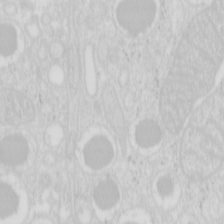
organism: Mouse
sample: Pancreas